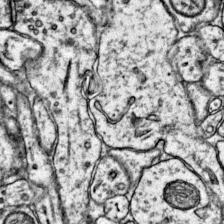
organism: Mouse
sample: Primary visual cortex